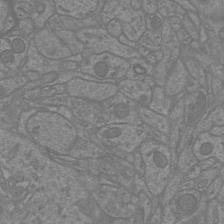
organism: Mouse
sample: Cortical neurons